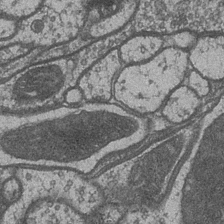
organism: Drosophila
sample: Optic medulla